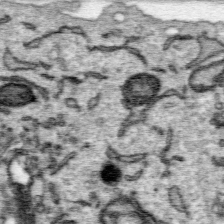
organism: Human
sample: HeLa cells